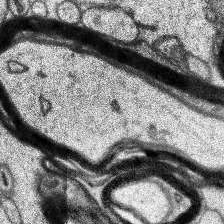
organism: Human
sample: Temporal Lobe